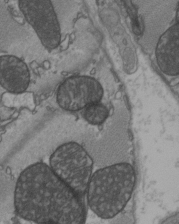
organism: C57BL Mouse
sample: Heart